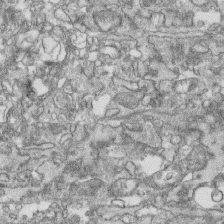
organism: Human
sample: CRL-1474